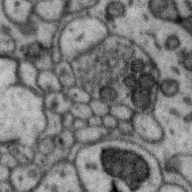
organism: Zebra finch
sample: Brain